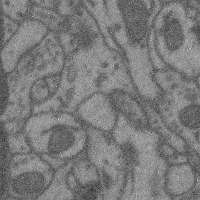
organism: Mouse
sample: Cerebral cortex